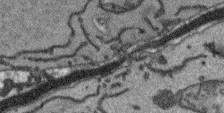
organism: Arabidopsis thaliana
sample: Root tip